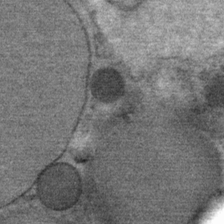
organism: Mouse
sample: Mouse Salivary gland